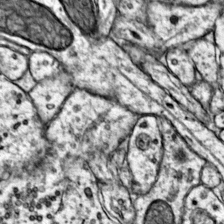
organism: Mouse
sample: Primary visual cortex